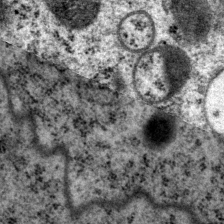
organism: P. pacificus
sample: Pharynx